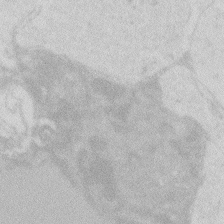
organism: Zebrafish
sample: Macrophage